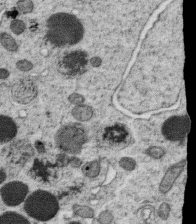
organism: C. elegans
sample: C. elegans oocyte; sperm cells